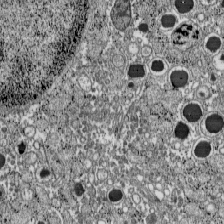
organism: C57BL Mouse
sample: Pancreatic islet